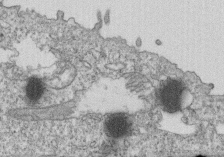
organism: Human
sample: HeLa cell HIV synapse